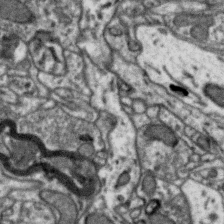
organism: Zebra finch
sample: Brain